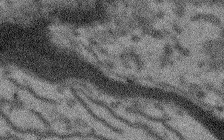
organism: Arabidopsis thaliana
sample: Root tip